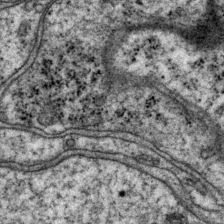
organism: P. pacificus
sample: Pharynx